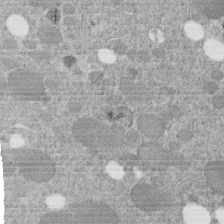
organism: C. elegans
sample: C. elegans embryo early stage